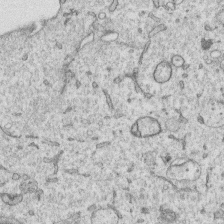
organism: Human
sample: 1205lu cells